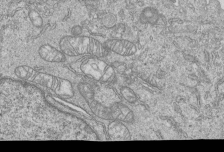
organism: Human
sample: MDA-MB-231 cells